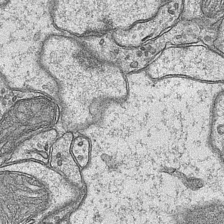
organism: Mouse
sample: CA1 Hippocampus